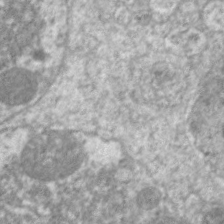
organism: C. elegans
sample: Pharynx